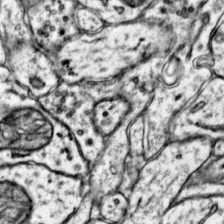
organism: Mouse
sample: Primary visual cortex